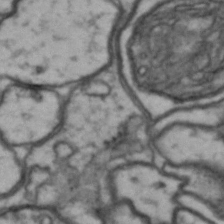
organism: Drosophila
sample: Brain